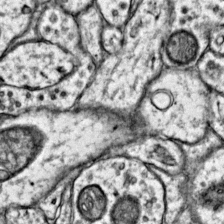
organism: Mouse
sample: Primary visual cortex